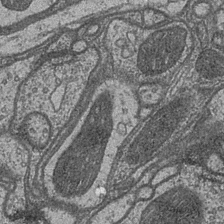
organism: Drosophila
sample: Optic medulla